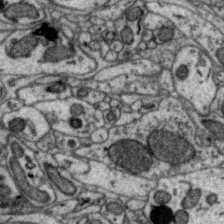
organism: Zebra finch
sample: Brain